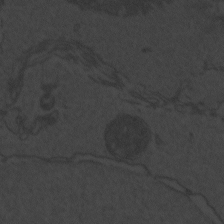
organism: Zebrafish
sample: Macrophage infected with Toxoplasma gondii